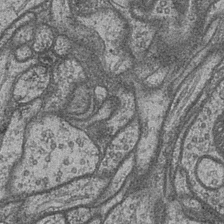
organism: Drosophila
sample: Optic medulla